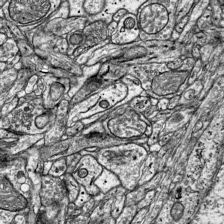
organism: Mouse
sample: Visual Cortex